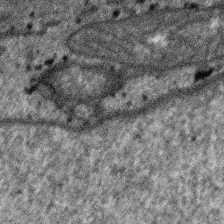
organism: Human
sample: Lung epithelial cells infected with SARS-CoV-2